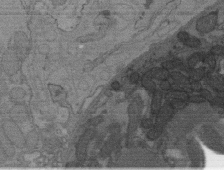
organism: C. elegans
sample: AFD neurons C. elegans